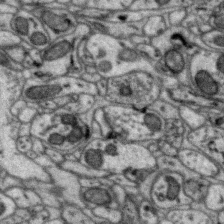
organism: Zebra finch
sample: Brain